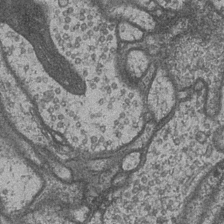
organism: Drosophila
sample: Optic medulla